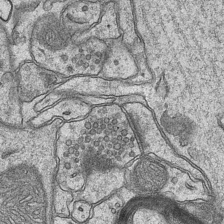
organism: Mouse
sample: CA1 Hippocampus